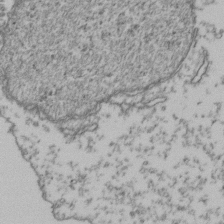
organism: Human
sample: Activated Jurkat CD4+ T cells